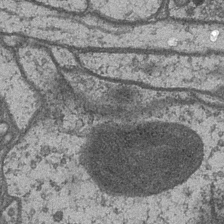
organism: Drosophila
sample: Optic medulla